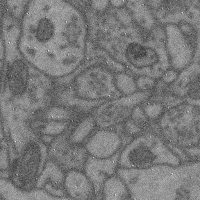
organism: Mouse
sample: Cerebral cortex